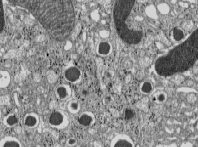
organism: C57BL Mouse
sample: Pancreatic islet